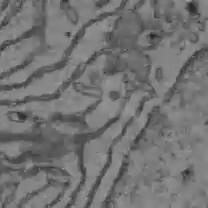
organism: C57BL Mouse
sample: Liver